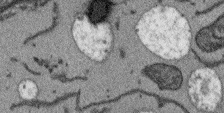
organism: Arabidopsis thaliana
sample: Root tip